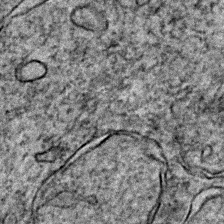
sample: Trachea